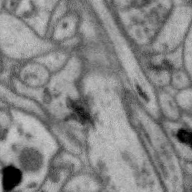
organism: Zebra finch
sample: Brain